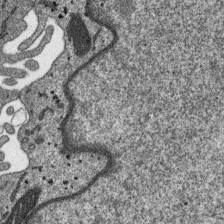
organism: Human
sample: Lung epithelial cells infected with SARS-CoV-2